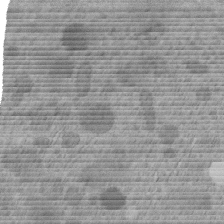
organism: C. elegans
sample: C. elegans embryo early stage